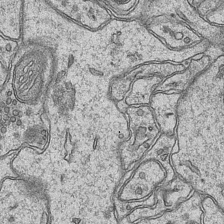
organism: Mouse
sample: CA1 Hippocampus